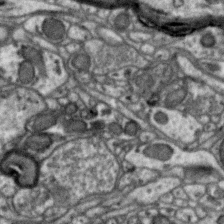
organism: Zebra finch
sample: Brain